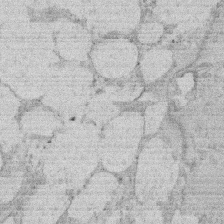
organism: Rat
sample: Salivary granule